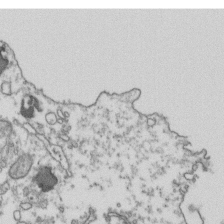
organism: Human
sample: Activated Jurkat CD4+ T cells